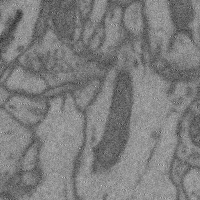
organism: Mouse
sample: Cerebral cortex